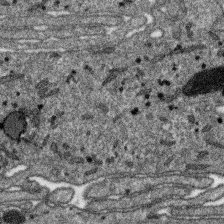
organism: Human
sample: Lung epithelial cells infected with SARS-CoV-2